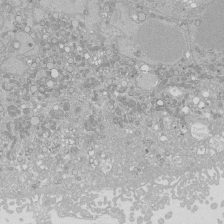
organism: Human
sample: Caco-2 cells